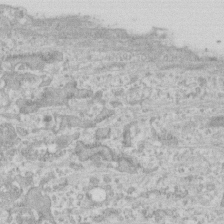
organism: Human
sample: CRL-1474